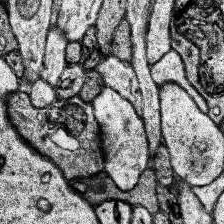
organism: Human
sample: Temporal Lobe